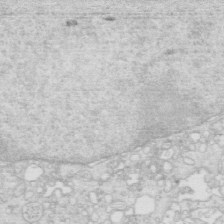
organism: Mouse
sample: Multiciliated cells